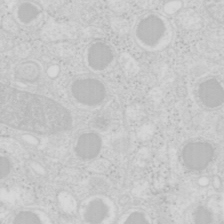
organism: Mouse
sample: Pancreas